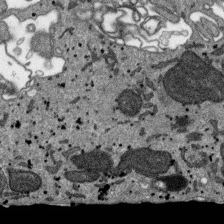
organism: Human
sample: Lung epithelial cells, uninfected (mock) control